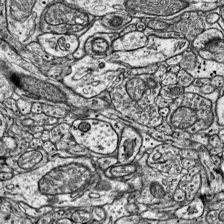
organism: Mouse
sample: Visual Cortex